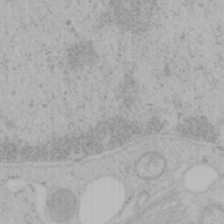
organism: Mouse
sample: OT-I killer T cells with ID8 ovarian cancer cells